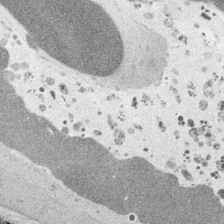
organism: Embia sp.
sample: Silk gland